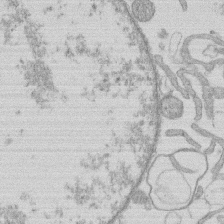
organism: Human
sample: Macrophage cells